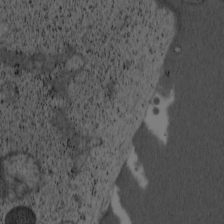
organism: African green monkey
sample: COS-7 cells